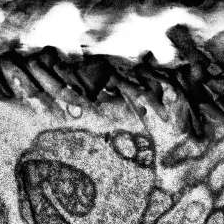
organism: Human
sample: Temporal Lobe